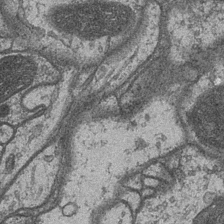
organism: Drosophila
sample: Optic medulla